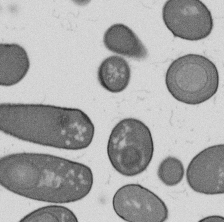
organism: B. subtilis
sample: Bacterial spore